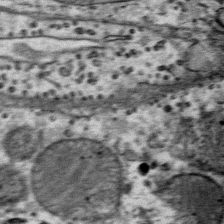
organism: Mouse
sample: Mouse Salivary gland